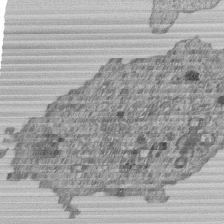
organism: Human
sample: MDA-MB-231 cells